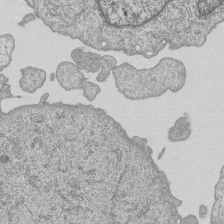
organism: Human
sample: MDA-MB-231 cells